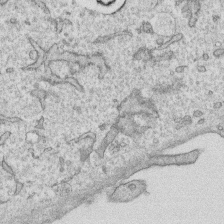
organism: Human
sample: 1205lu cells